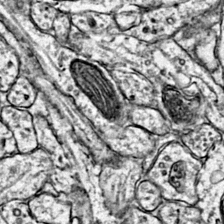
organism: Mouse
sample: Primary visual cortex